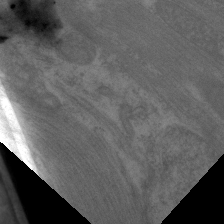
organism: C. elegans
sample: Pharynx